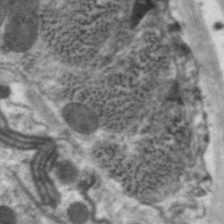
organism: C. elegans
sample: Pharynx